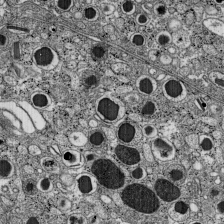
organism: C57BL Mouse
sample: Pancreatic islet